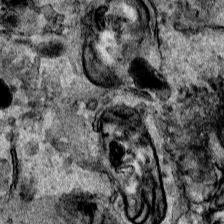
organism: Human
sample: Mitochondria in HCT116 cells